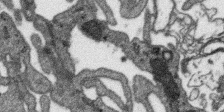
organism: Human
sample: Lung epithelial cells infected with SARS-CoV-2